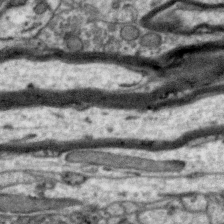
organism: Zebra finch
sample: Brain